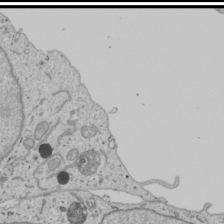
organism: Human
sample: Mitochondria in U2OS cells